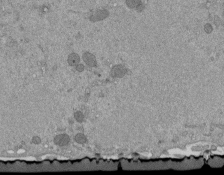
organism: Mouse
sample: ED-1 cell nuclei; centrioles